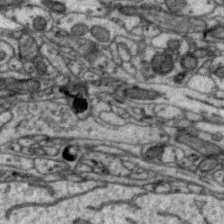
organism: Zebra finch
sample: Brain